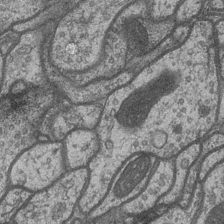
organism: Drosophila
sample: Optic medulla